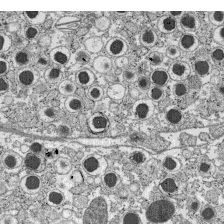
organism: C57BL Mouse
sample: Pancreatic islet